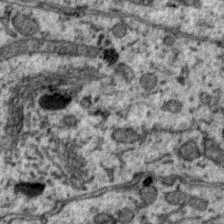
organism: Zebra finch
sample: Brain